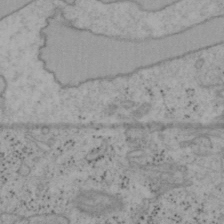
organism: Human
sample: HeLa cells